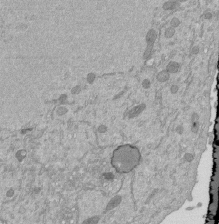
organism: Mouse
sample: ED-1 cell nuclei; centrioles